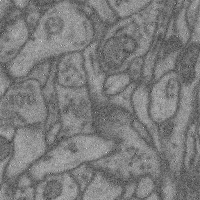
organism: Mouse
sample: Cerebral cortex